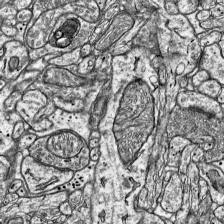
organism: Mouse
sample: Visual Cortex